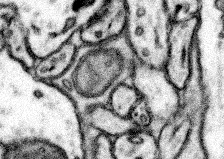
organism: Mouse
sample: Somatosensory cortex neuropil